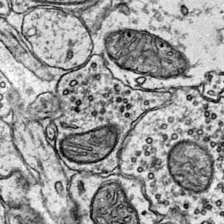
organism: Mouse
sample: Primary visual cortex